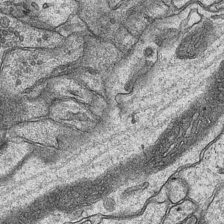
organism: Mouse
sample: CA1 Hippocampus